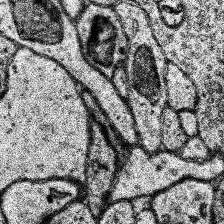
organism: Human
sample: Temporal Lobe